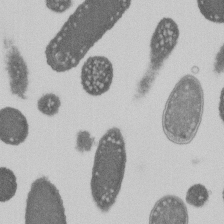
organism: E. coli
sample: Bacterial nucleoid